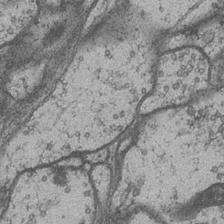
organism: Drosophila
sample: Optic medulla